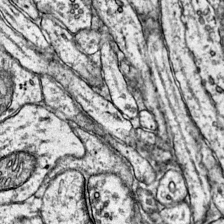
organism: Mouse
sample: Primary visual cortex